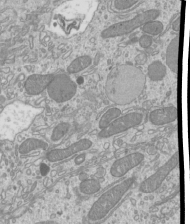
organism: Mouse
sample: Cilia; mouse epididymis